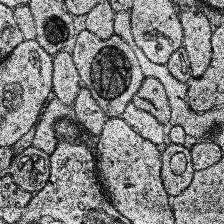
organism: Human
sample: Temporal Lobe